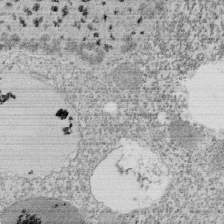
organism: Tetrahymena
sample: Cilia in tetrahymena